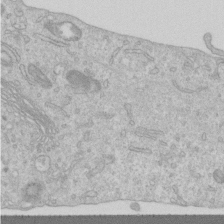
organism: Human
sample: Centriole in RPE cells